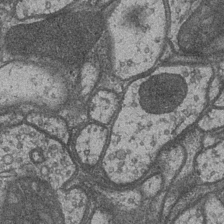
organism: Drosophila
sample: Optic medulla